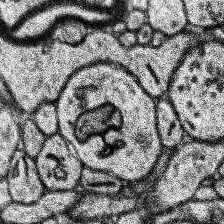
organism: Human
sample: Temporal Lobe